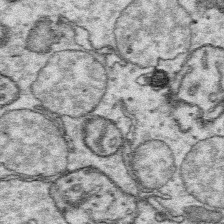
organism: Platynereis dumerilii